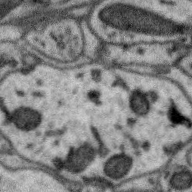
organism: Zebra finch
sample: Brain